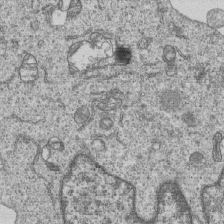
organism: Human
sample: MDA-MB-231 cells